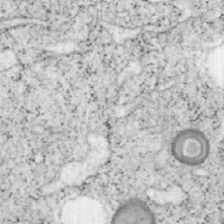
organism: Mouse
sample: OT-I killer T cells with ID8 ovarian cancer cells